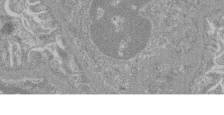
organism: Mouse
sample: Glomerulus